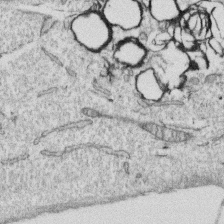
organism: Human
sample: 1205lu cells